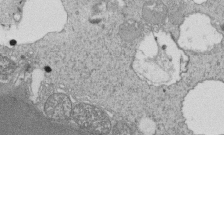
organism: Tetrahymena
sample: Cilia in tetrahymena